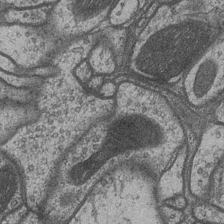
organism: Drosophila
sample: Optic medulla